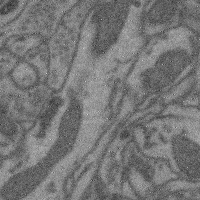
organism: Mouse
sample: Cerebral cortex